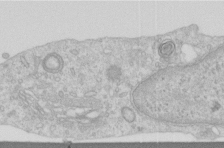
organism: Human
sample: Centriole in RPE cells